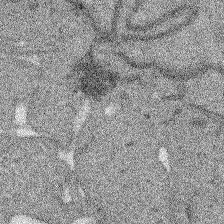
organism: Human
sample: HeLa cells